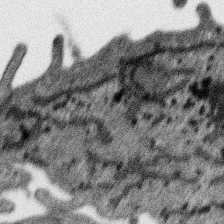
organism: Human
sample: Lung epithelial cells infected with SARS-CoV-2